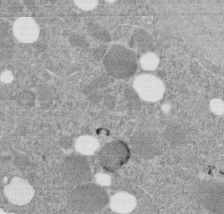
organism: C. elegans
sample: C. elegans embryo early stage